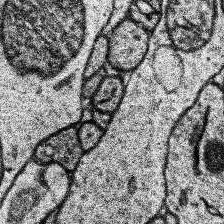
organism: Human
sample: Temporal Lobe